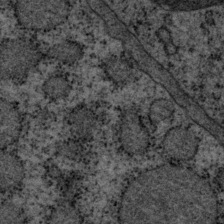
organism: P. pacificus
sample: Pharynx